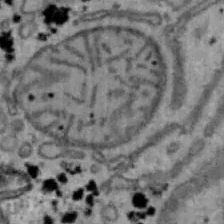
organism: Mouse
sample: Liver